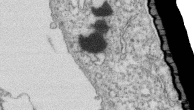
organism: Human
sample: HeLa cell HIV synapse